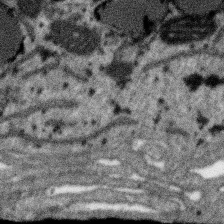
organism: Human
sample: Lung epithelial cells infected with SARS-CoV-2